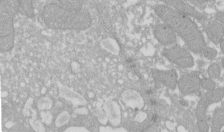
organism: Xenopus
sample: Cilia; centrioles in frog embryo cells